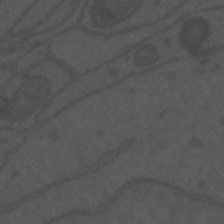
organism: Mouse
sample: Suprachiasmatic nucleus